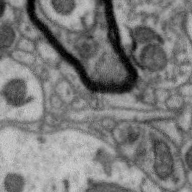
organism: Zebra finch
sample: Brain